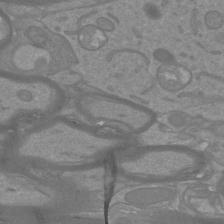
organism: Mouse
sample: Cortical neurons